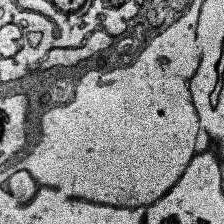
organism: Human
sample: Temporal Lobe